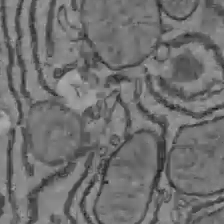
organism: C57BL Mouse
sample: Liver